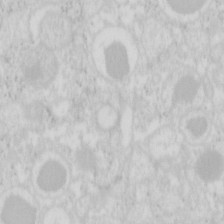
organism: Mouse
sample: Pancreas